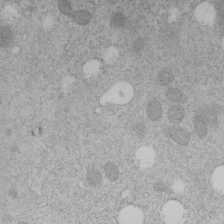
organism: C. elegans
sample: C. elegans embryo early stage